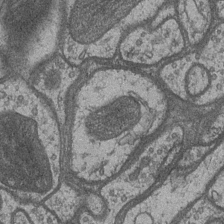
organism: Drosophila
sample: Optic medulla